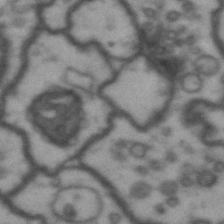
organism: Drosophila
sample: Brain